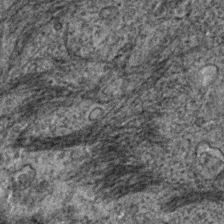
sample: Trachea